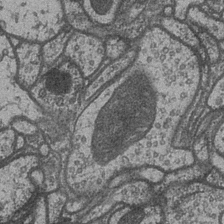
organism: Drosophila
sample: Optic medulla